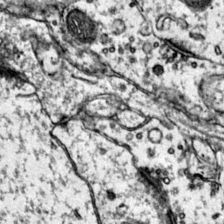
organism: Mouse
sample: Primary visual cortex